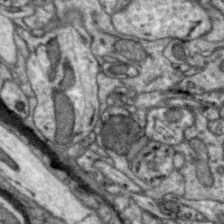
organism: Zebra finch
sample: Brain